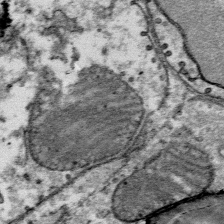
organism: Mouse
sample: Mouse Salivary gland